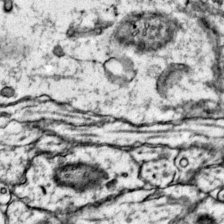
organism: Mouse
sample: Primary visual cortex